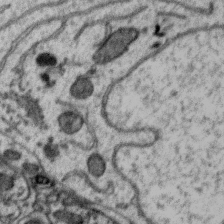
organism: Zebra finch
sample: Brain